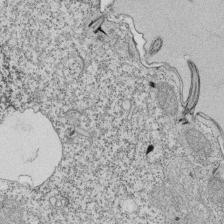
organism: Tetrahymena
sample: Cilia in tetrahymena